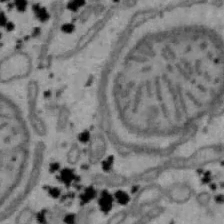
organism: Mouse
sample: Liver